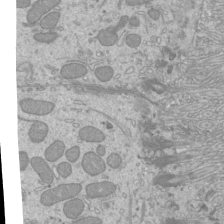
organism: Mouse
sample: Cilia; mouse epididymis